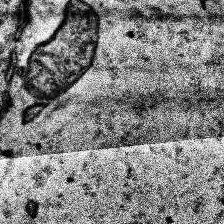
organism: Human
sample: Temporal Lobe